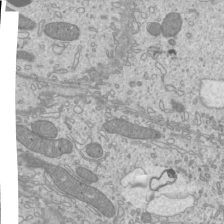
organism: Mouse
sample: Cilia; mouse epididymis